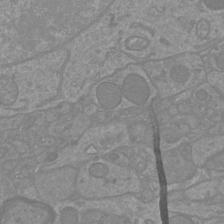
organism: Mouse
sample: Cortical neurons